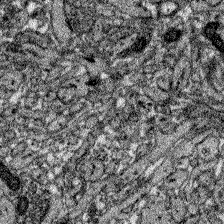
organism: Zebrafish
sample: Larval olfactory bulb